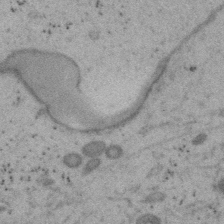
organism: Human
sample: HeLa cells